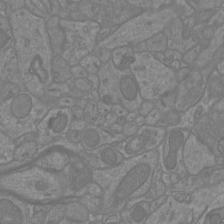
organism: Mouse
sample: Cortical neurons